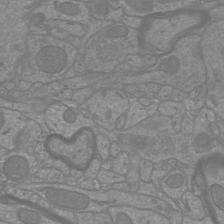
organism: Mouse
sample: Cortical neurons